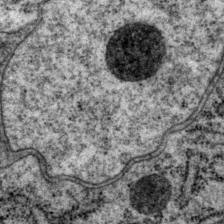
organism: P. pacificus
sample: Pharynx